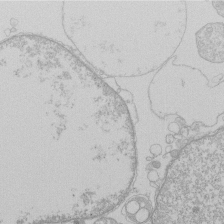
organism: Human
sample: Macrophage cells